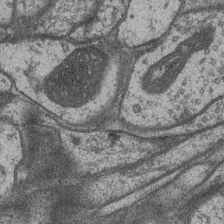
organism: Drosophila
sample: Optic medulla